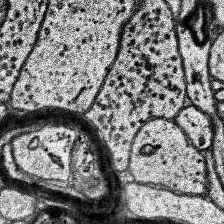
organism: Human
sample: Temporal Lobe